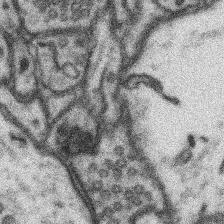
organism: Mouse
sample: Somatosensory cortex neuropil